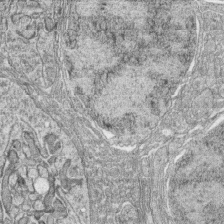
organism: Zebrafish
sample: synaptic ribbons in rod cells and cone cells